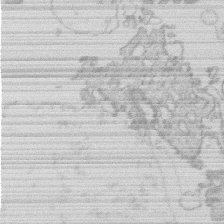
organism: Human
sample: Macrophage cells